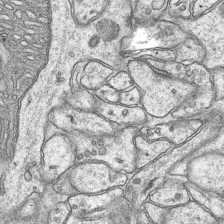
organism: Mouse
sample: CA1 Hippocampus